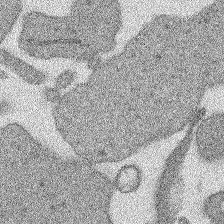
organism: Human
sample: HeLa cells